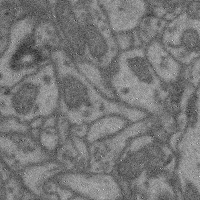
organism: Mouse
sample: Cerebral cortex